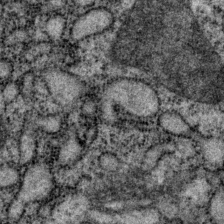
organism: P. pacificus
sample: Pharynx